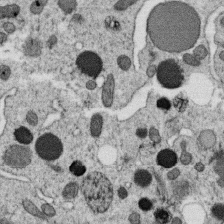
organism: C. elegans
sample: C. elegans oocyte; sperm cells